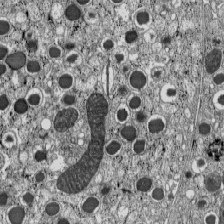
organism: C57BL Mouse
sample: Pancreatic islet